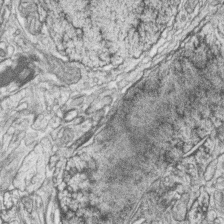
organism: Zebrafish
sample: synaptic ribbons in rod cells and cone cells